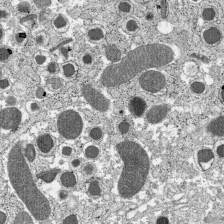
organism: C57BL Mouse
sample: Pancreatic islet